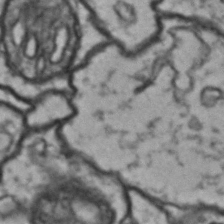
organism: Drosophila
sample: Brain